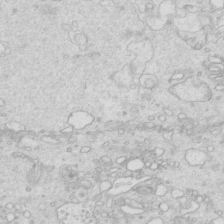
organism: Mouse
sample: Multiciliated cells